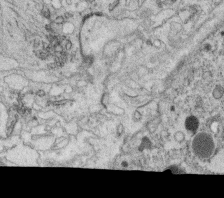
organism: C. elegans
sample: C. elegans oocyte; sperm cells